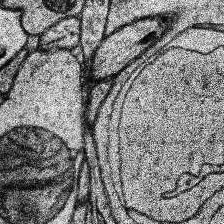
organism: Human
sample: Temporal Lobe